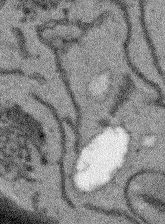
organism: Arabidopsis thaliana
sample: Root tip